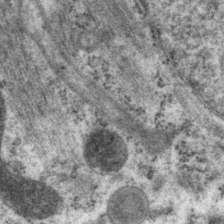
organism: P. pacificus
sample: Pharynx